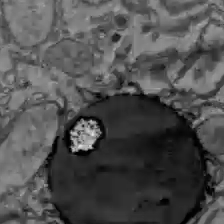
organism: C57BL Mouse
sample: Liver